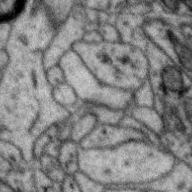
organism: Zebra finch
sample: Brain